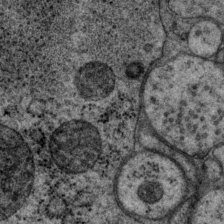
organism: P. pacificus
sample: Pharynx